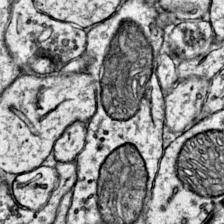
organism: Mouse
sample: Primary visual cortex